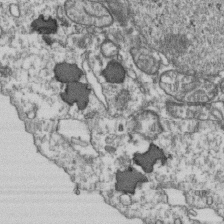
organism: Human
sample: Activated Jurkat CD4+ T cells